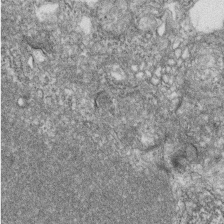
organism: Zebrafish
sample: Cilia; retinal pigment epithelium